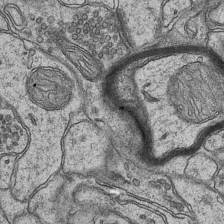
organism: Mouse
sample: CA1 Hippocampus